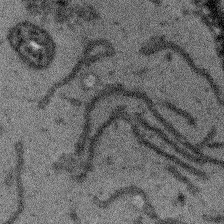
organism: Arabidopsis thaliana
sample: Root tip